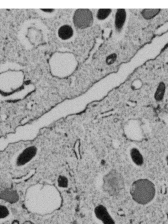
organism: C. elegans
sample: C. elegans embryo early stage